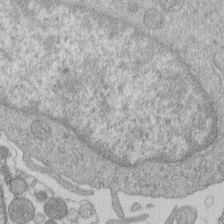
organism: Human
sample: Macrophage cells